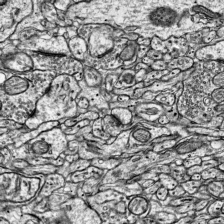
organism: Mouse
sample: Visual Cortex